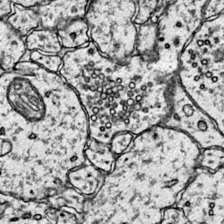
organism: Mouse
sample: Primary visual cortex